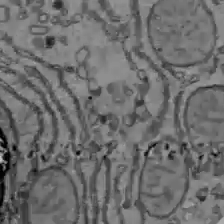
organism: C57BL Mouse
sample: Liver